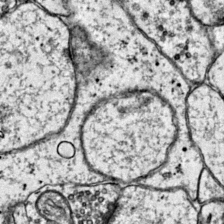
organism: Mouse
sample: Primary visual cortex